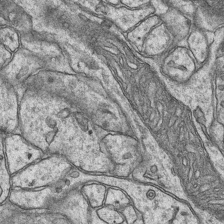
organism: Mouse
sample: CA1 Hippocampus